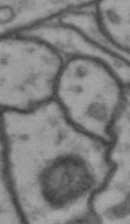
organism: Drosophila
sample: Brain